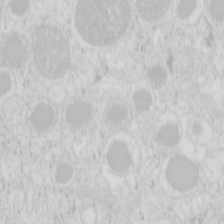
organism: Mouse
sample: Pancreas